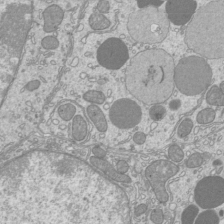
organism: Mouse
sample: Cilia; mouse epididymis